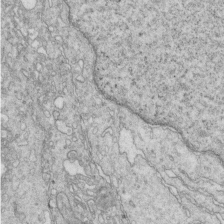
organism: Mouse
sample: Multiciliated cells